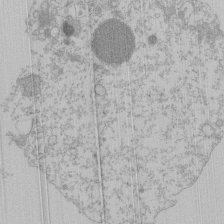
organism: Mouse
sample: Activated Pmel transgenic CD8+ T Cells